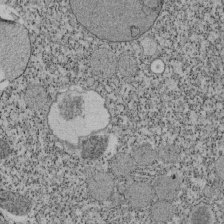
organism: Tetrahymena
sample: Cilia in tetrahymena